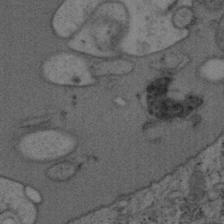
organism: Human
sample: HeLa cells